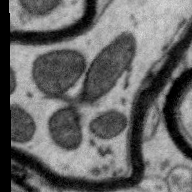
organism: Zebra finch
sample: Brain